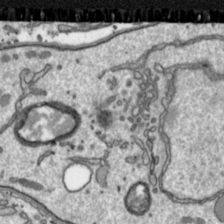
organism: Toxoplasma gondii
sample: Parasites in a vacuole inside a host cell